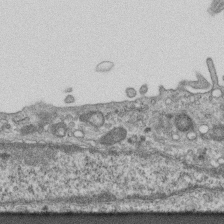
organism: Mouse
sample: Centriole in ependymal cells